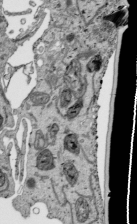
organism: Human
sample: Mitochondria in HCT116 cells